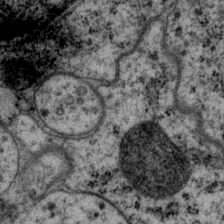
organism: P. pacificus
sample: Pharynx